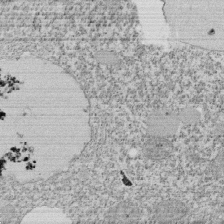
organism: Tetrahymena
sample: Cilia in tetrahymena